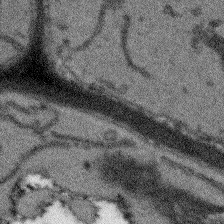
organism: Arabidopsis thaliana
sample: Root tip